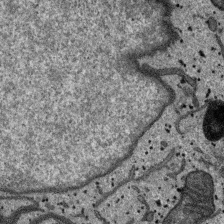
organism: Human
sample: Lung epithelial cells, uninfected (mock) control